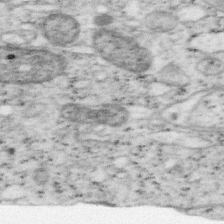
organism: Mouse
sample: OT-I killer T cells with ID8 ovarian cancer cells